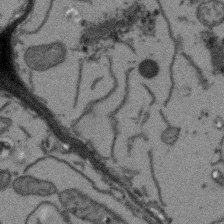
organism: Arabidopsis thaliana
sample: Root tip